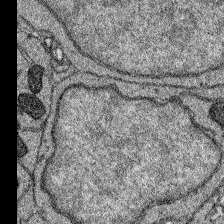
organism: Zebrafish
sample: Larval olfactory bulb